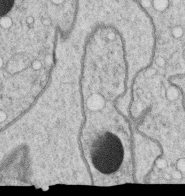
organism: C. elegans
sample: C. elegans oocyte; sperm cells